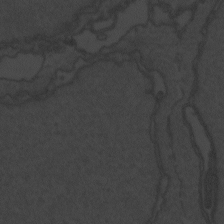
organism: Zebrafish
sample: Macrophage infected with Toxoplasma gondii